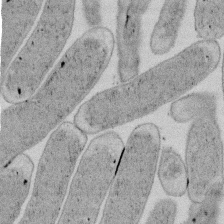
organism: E. coli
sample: Bacterial nucleoid